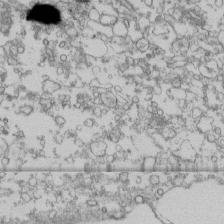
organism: Human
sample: Fibroblast cells